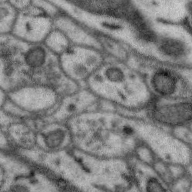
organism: Zebra finch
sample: Brain